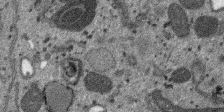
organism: Human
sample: Lung epithelial cells infected with SARS-CoV-2